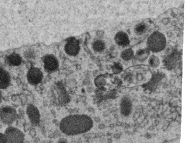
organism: C. elegans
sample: C. elegans oocyte; sperm cells